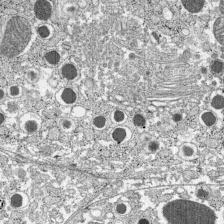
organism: C57BL Mouse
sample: Pancreatic islet